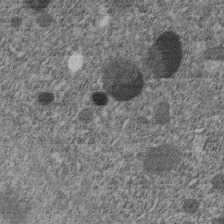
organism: C. elegans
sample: C. elegans embryo early stage